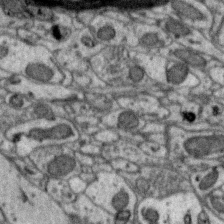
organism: Zebra finch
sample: Brain